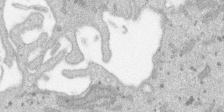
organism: Human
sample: Lung epithelial cells infected with SARS-CoV-2